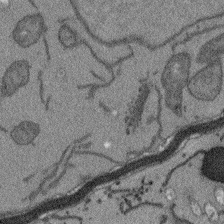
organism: Arabidopsis thaliana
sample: Root tip